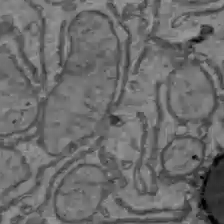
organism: C57BL Mouse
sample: Liver